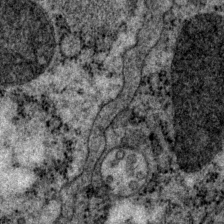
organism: P. pacificus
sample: Pharynx